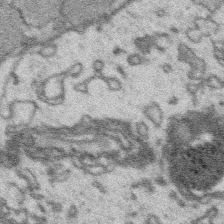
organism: Platynereis dumerilii